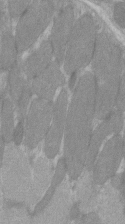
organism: C57BL Mouse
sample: Tibialis anterior muscle cell